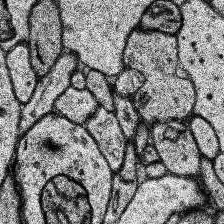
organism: Human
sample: Temporal Lobe